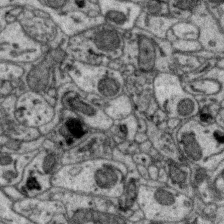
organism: Zebra finch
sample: Brain